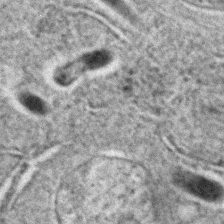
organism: C. elegans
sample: C. elegans embryo